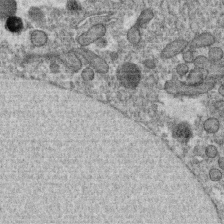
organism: C. elegans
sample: C. elegans oocyte; sperm cells